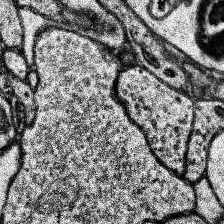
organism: Human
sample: Temporal Lobe